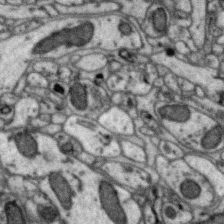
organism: Zebra finch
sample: Brain